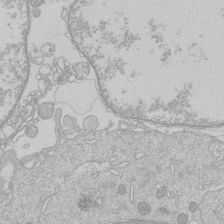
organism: Human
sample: Macrophage cells